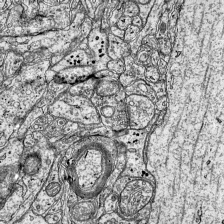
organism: Mouse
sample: Visual Cortex